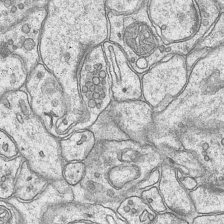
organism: Mouse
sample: CA1 Hippocampus